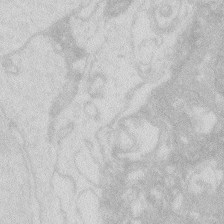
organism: Zebrafish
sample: Macrophage